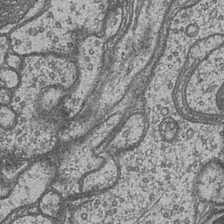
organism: Drosophila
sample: Optic medulla